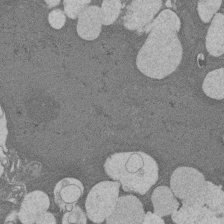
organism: Rat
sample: Salivary granule